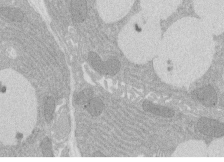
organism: Rat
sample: Salivary granule